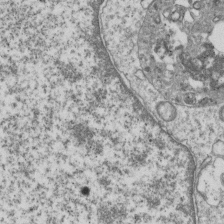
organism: Human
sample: MDA-MB-231 cells